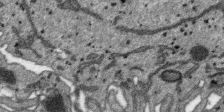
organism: Human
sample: Lung epithelial cells, uninfected (mock) control